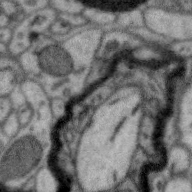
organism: Zebra finch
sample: Brain